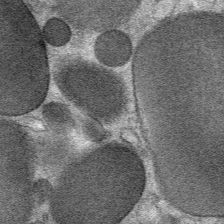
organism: Mouse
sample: Mouse Salivary gland